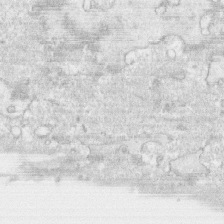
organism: Human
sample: CRL-1474